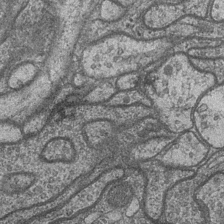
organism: Drosophila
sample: Optic medulla